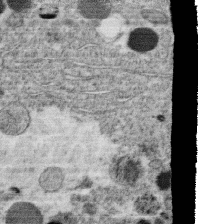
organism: C. elegans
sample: C. elegans oocyte; sperm cells